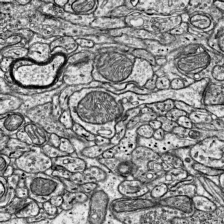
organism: Mouse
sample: Visual Cortex